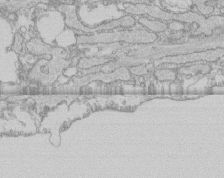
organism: Human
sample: CRL-1474